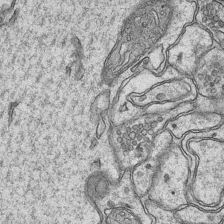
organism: Mouse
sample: CA1 Hippocampus